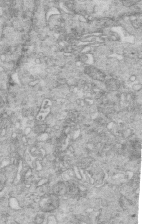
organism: Mouse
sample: Multiciliated cells